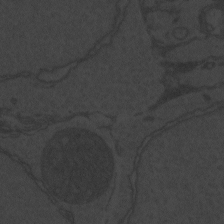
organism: Zebrafish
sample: Macrophage infected with Toxoplasma gondii